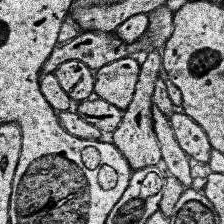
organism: Human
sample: Temporal Lobe